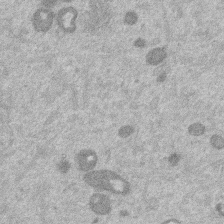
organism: Mouse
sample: Dividing mouse embryo 1 cell stage